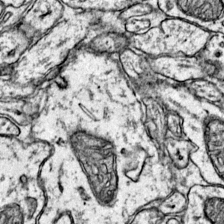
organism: Mouse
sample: Primary visual cortex